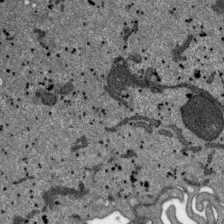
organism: Human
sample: Lung epithelial cells, uninfected (mock) control